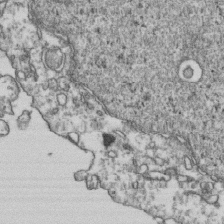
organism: Human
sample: Activated Jurkat CD4+ T cells